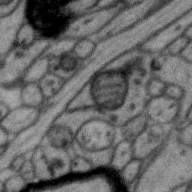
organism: Zebra finch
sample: Brain